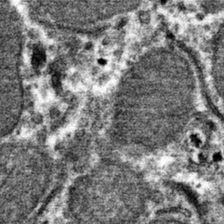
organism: Mouse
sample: Mouse hepatocytes